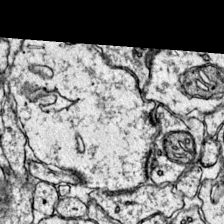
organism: Mouse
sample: Primary visual cortex